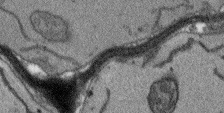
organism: Arabidopsis thaliana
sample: Root tip